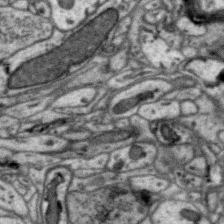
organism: Zebra finch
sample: Brain